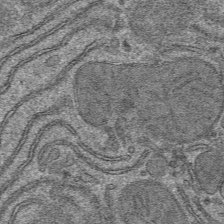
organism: Mouse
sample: Mouse hepatocytes